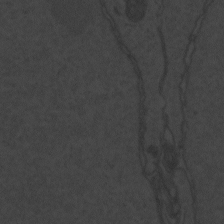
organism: Zebrafish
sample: Macrophage infected with Toxoplasma gondii